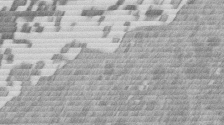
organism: Mouse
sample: Dividing mouse embryo 1 cell stage